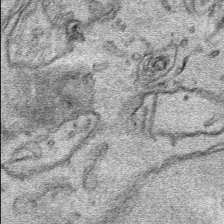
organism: Human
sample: Mitochondria in HCT116 cells